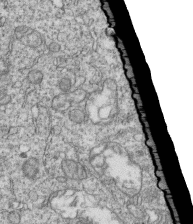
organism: Human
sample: HeLa cell HIV synapse